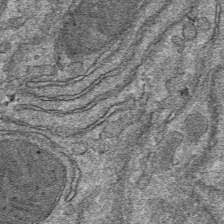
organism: Mouse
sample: Mouse hepatocytes